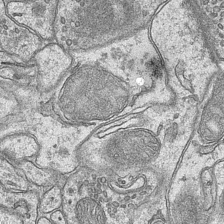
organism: Mouse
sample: CA1 Hippocampus